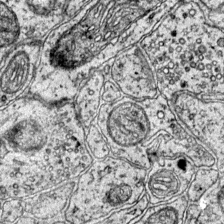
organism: Mouse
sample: Primary visual cortex